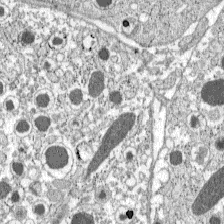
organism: C57BL Mouse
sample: Pancreatic islet